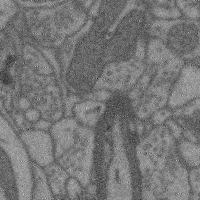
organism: Mouse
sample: Cerebral cortex